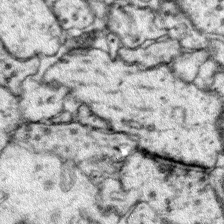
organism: Mouse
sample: Primary visual cortex